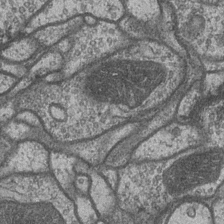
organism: Drosophila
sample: Optic medulla